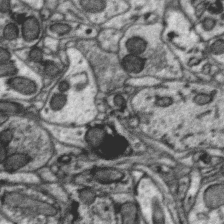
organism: Zebra finch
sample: Brain